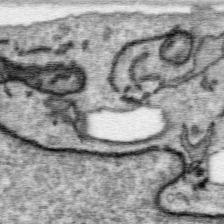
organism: Human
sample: HeLa cells